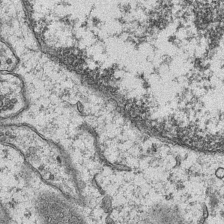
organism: Mouse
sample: CA1 Hippocampus